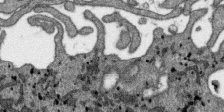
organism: Human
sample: Lung epithelial cells, uninfected (mock) control